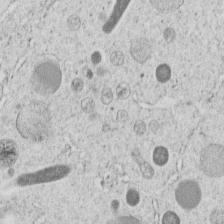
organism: C. elegans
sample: C. elegans embryo early stage